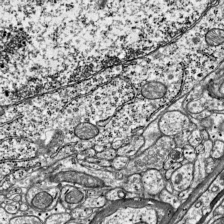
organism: Mouse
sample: Visual Cortex